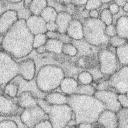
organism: Rabbit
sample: Retina